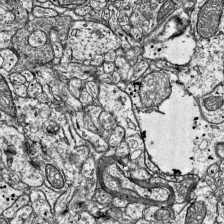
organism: Mouse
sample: Visual Cortex